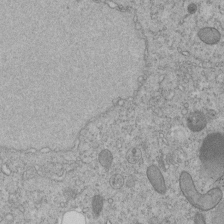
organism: C. elegans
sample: C. elegans embryo early stage